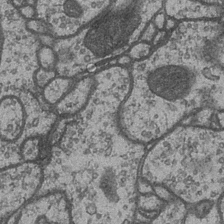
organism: Drosophila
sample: Optic medulla